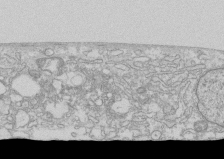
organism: Human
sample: CRL-1474